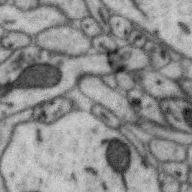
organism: Zebra finch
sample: Brain